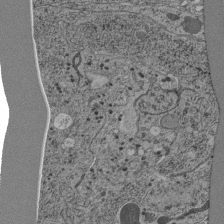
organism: C. elegans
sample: C. elegans pharynx